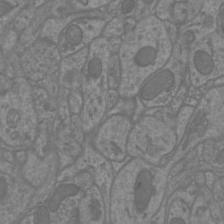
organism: Mouse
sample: Cortical neurons